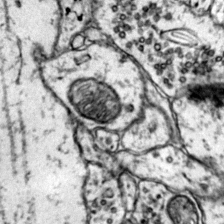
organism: Mouse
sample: Primary visual cortex